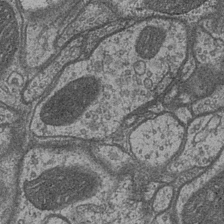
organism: Drosophila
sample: Optic medulla